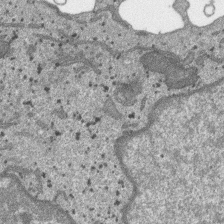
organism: Human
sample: Lung epithelial cells infected with SARS-CoV-2